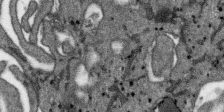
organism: Human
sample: Lung epithelial cells, uninfected (mock) control